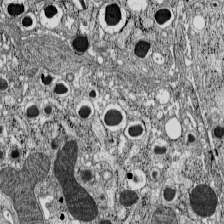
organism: C57BL Mouse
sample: Pancreatic islet